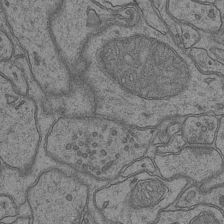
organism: Mouse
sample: CA1 Hippocampus